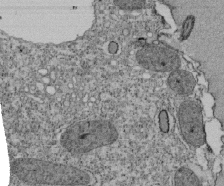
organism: Tetrahymena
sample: Cilia in tetrahymena